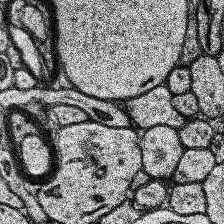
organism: Human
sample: Temporal Lobe